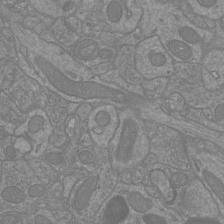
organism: Mouse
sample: Cortical neurons